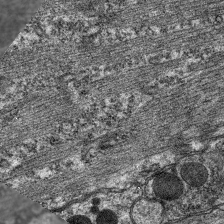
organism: C. elegans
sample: Pharynx